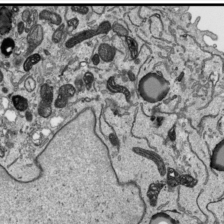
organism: Human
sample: Mitochondria in HCT116 cells